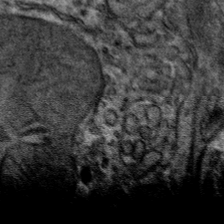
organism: Mouse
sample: Mouse hepatocytes